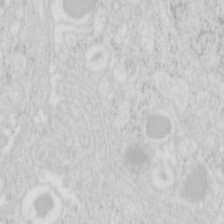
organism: Mouse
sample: Pancreas